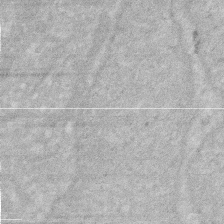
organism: Human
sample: HIV infected U937 cells